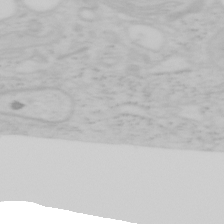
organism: Mouse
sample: OT-I killer T cells with ID8 ovarian cancer cells